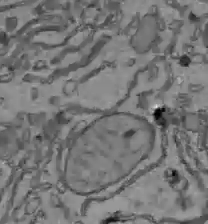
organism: C57BL Mouse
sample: Liver